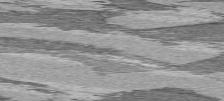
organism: C57BL Mouse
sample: Heart